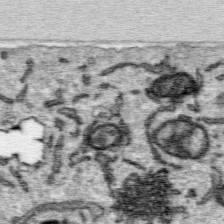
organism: Human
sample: HeLa cells